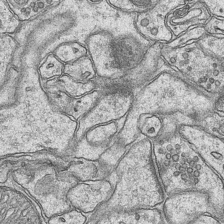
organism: Mouse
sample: CA1 Hippocampus